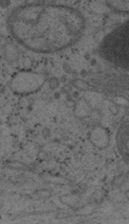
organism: Human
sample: HeLa cells